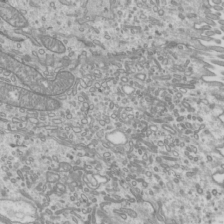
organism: Mouse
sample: Cilia; mouse epididymis